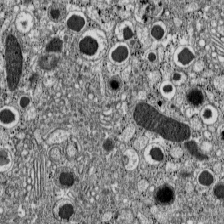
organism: C57BL Mouse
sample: Pancreatic islet